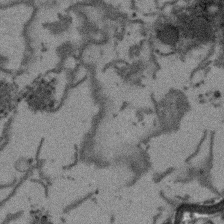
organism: Arabidopsis thaliana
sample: Root tip